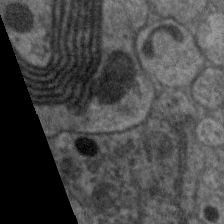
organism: C. elegans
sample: Pharynx